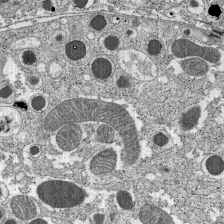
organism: C57BL Mouse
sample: Pancreatic islet